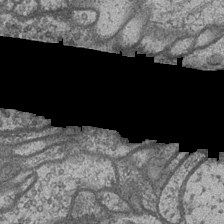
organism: Drosophila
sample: Optic medulla